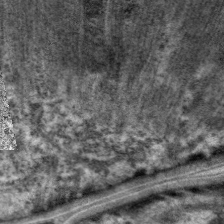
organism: C. elegans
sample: Pharynx